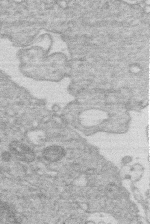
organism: Human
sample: Macrophage cells